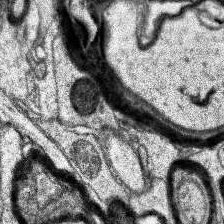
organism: Human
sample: Temporal Lobe